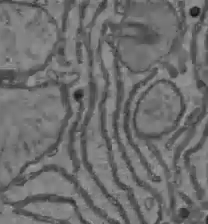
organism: C57BL Mouse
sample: Liver